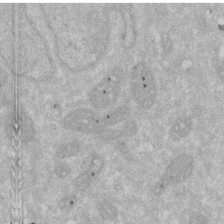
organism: Human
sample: HIV infected U937 cells